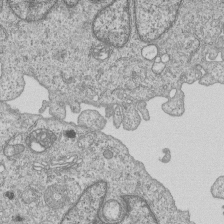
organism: Human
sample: MDA-MB-231 cells